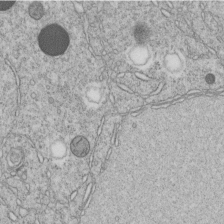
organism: C. elegans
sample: C. elegans embryo early stage